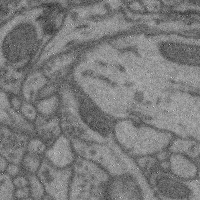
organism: Mouse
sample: Cerebral cortex